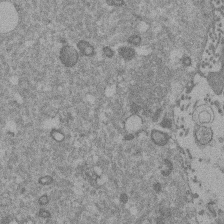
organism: Mouse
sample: Dividing mouse embryo 1 cell stage